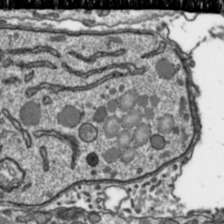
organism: Toxoplasma gondii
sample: Parasites in a vacuole inside a host cell